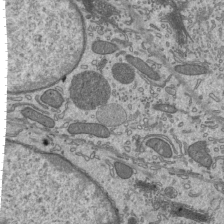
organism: Mouse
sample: Mouse epididymis efferent ductule cilia